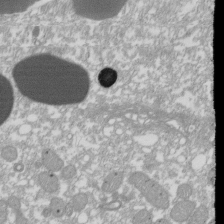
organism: Xenopus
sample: Cilia; centrioles in frog embryo cells